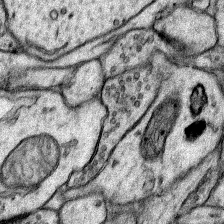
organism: Rat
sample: Hippocampus